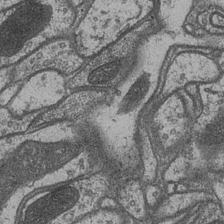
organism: Drosophila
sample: Optic medulla